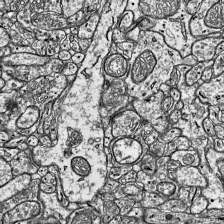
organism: Mouse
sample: Visual Cortex